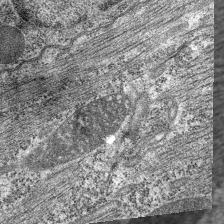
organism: C. elegans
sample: Pharynx